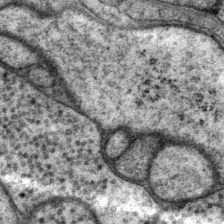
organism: P. pacificus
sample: Pharynx